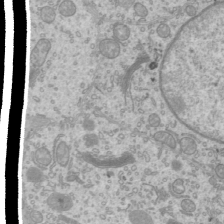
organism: Mouse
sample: Cilia; mouse epididymis